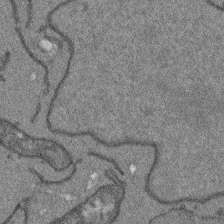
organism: Arabidopsis thaliana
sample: Root tip